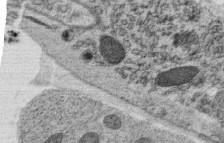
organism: C. elegans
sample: C. elegans oocyte; sperm cells